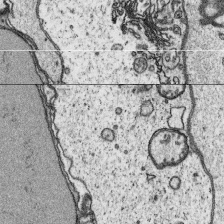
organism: Platynereis dumerilii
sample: Parapodia